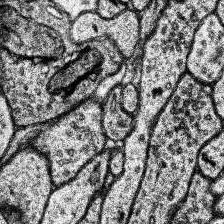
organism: Human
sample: Temporal Lobe